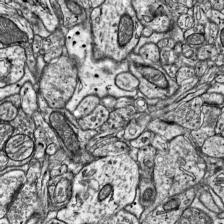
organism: Mouse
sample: Visual Cortex